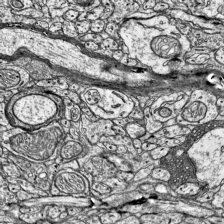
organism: Mouse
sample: Visual Cortex